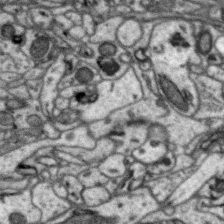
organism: Zebra finch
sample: Brain